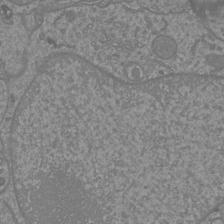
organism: Mouse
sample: Cortical neurons